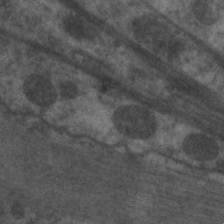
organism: C. elegans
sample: Pharynx